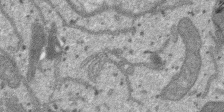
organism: Human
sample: Lung epithelial cells infected with SARS-CoV-2